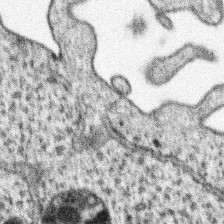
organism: Human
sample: HeLa cells